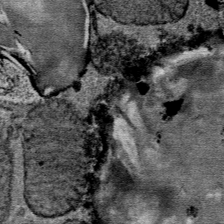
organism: Mouse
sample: Mouse Salivary gland